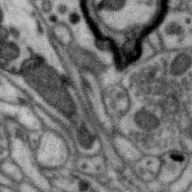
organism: Zebra finch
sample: Brain